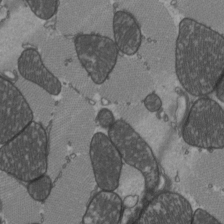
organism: C57BL Mouse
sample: Heart